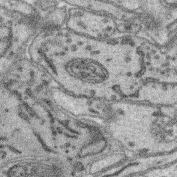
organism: Mouse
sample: Retina